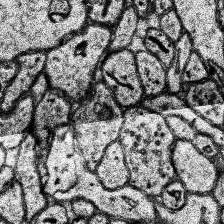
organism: Human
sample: Temporal Lobe